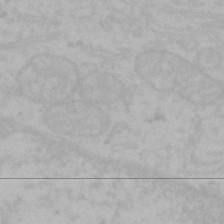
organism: Mouse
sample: Choroid plexus